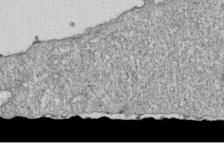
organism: Human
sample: HeLa cell HIV synapse